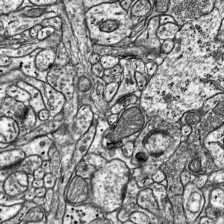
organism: Mouse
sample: Visual Cortex